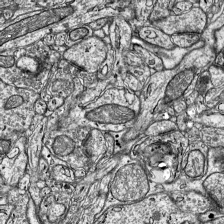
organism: Mouse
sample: Visual Cortex